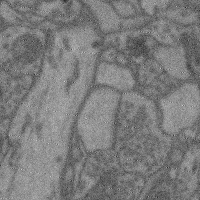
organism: Mouse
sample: Cerebral cortex